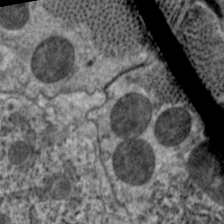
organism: C. elegans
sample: Pharynx